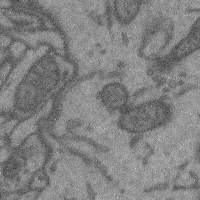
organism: Mouse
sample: Cerebral cortex